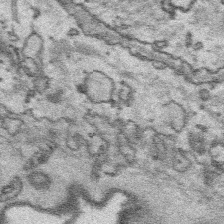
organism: Platynereis dumerilii